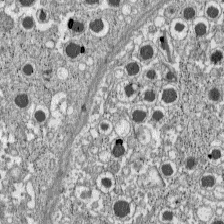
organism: C57BL Mouse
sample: Pancreatic islet